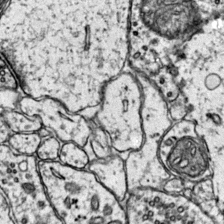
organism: Mouse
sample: Primary visual cortex